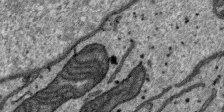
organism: Human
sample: Lung epithelial cells, uninfected (mock) control